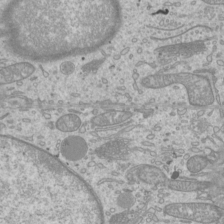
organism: Mouse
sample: Cilia; mouse epididymis